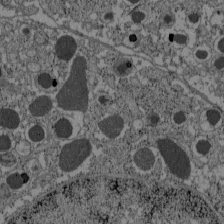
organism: C57BL Mouse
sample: Pancreatic islet